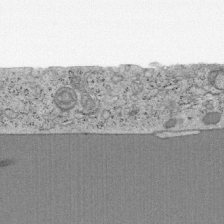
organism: Human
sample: HeLa cells